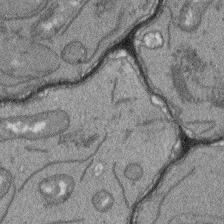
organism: Arabidopsis thaliana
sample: Root tip